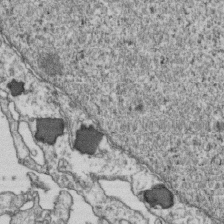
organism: Human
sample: Activated Jurkat CD4+ T cells